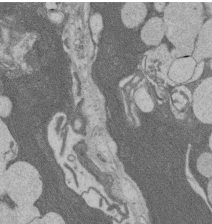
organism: Rat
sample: Salivary granule